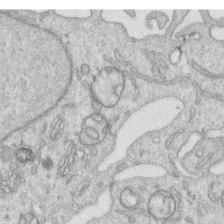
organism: Human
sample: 1205lu cells